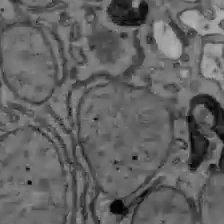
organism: C57BL Mouse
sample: Liver